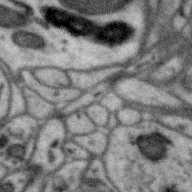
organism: Zebra finch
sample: Brain